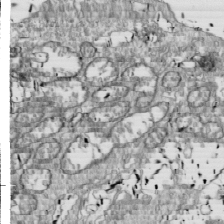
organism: Drosophila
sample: Cell division; meiosis; drosophila spermatocytes